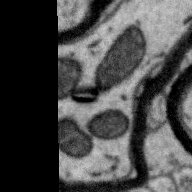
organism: Zebra finch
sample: Brain